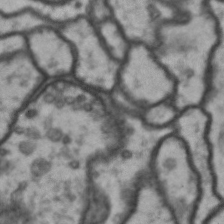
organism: Drosophila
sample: Brain